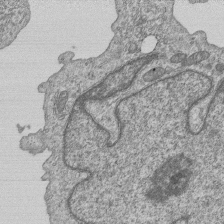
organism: Human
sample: MDA-MB-231 cells